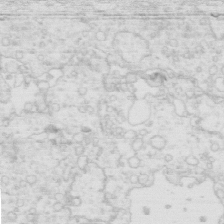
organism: Mouse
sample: Multiciliated cells